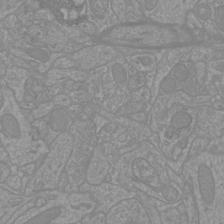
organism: Mouse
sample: Cortical neurons